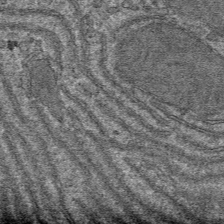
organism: Mouse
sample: Mouse hepatocytes